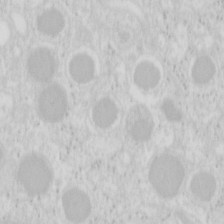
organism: Mouse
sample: Pancreas